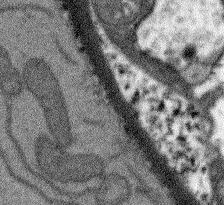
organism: Arabidopsis thaliana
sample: Root tip